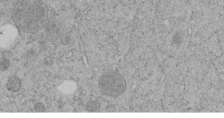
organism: C. elegans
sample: C. elegans embryo early stage